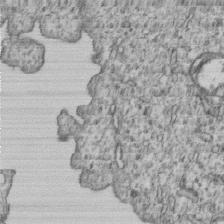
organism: Human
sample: MDA-MB-231 cells